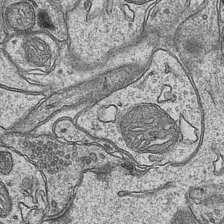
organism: Mouse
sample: CA1 Hippocampus